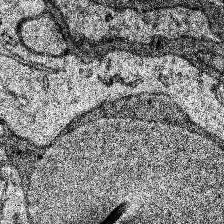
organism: Human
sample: Temporal Lobe